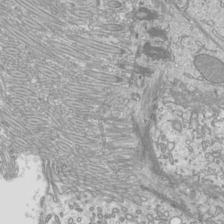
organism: Mouse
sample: Cilia; mouse epididymis